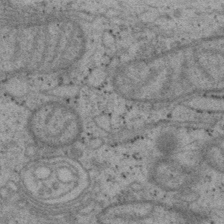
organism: Human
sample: HeLa cells